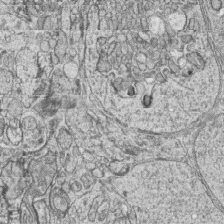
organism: Zebrafish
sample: synaptic ribbons in rod cells and cone cells